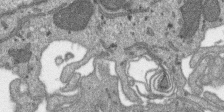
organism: Human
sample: Lung epithelial cells infected with SARS-CoV-2